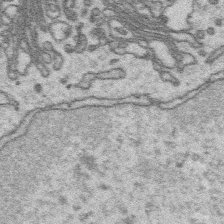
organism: Platynereis dumerilii